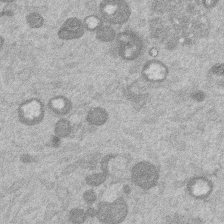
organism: Mouse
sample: Dividing mouse embryo 1 cell stage